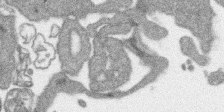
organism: Human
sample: Lung epithelial cells infected with SARS-CoV-2